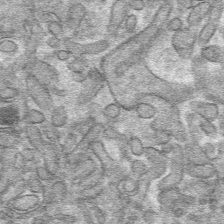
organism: Mouse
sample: Mouse hepatocytes